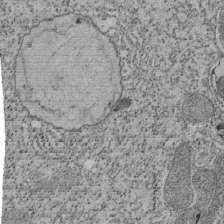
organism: Tetrahymena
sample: Cilia in tetrahymena